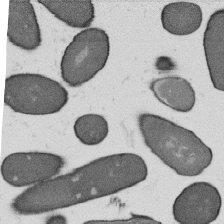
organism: B. subtilis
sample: Bacterial spore